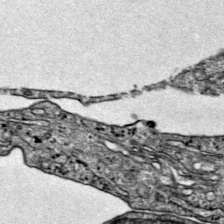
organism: Mouse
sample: Primary visual cortex